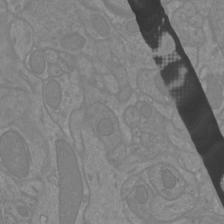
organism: Mouse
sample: Cortical neurons